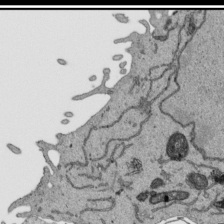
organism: Human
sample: Mitochondria in HCT116 cells